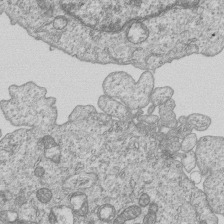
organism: Human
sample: MDA-MB-231 cells